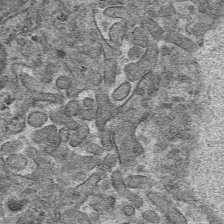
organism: Mouse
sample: Mouse hepatocytes